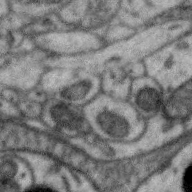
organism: Zebra finch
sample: Brain